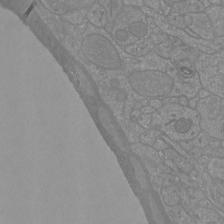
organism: Mouse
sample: Cortical neurons